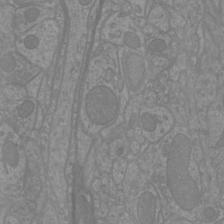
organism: Mouse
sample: Cortical neurons